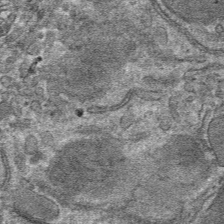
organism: Mouse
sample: Mouse hepatocytes